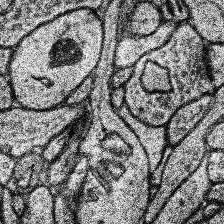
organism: Human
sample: Temporal Lobe